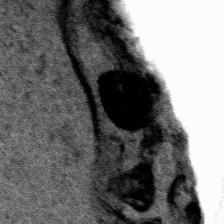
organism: Human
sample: Mitochondria in HCT116 cells